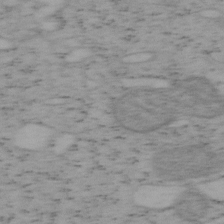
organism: Mouse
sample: OT-I killer T cells with ID8 ovarian cancer cells